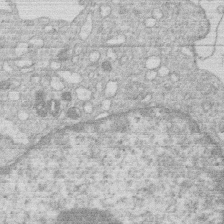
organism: Human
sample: Macrophage cells